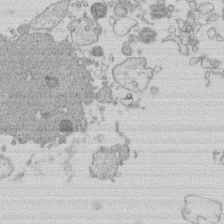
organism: Human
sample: Macrophage cells